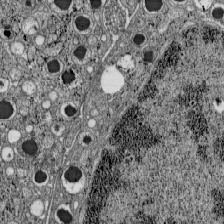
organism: C57BL Mouse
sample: Pancreatic islet